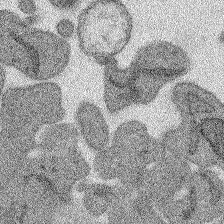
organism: Human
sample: HeLa cells